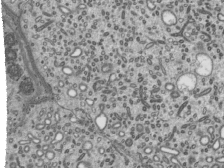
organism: Mouse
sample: Mouse epididymis efferent ductule cilia